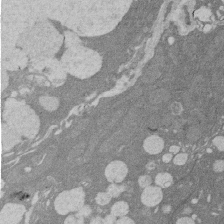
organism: Rat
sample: Salivary granule